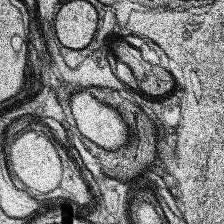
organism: Human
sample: Temporal Lobe